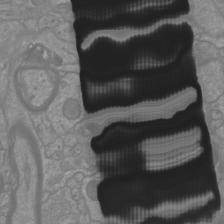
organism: Mouse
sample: Cortical neurons